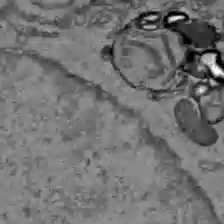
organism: C57BL Mouse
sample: Liver